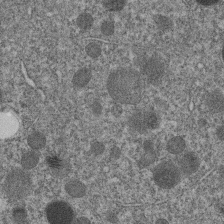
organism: C. elegans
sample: C. elegans embryo early stage